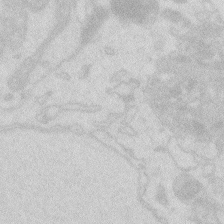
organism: Zebrafish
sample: Macrophage